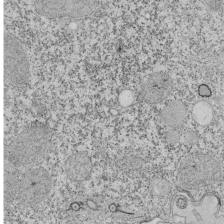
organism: Tetrahymena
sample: Cilia in tetrahymena